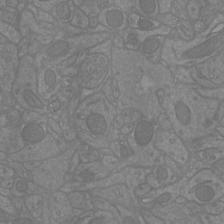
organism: Mouse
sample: Cortical neurons